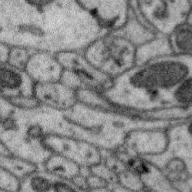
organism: Zebra finch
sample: Brain